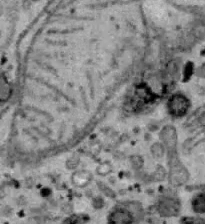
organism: Mouse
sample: Liver from an obese (ob/ob) mouse